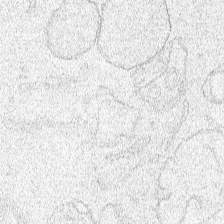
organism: Human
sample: Mitochondria in HCT116 cells